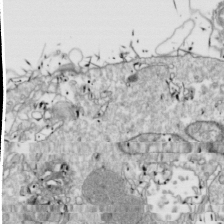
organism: Drosophila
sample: Cell division; meiosis; drosophila spermatocytes